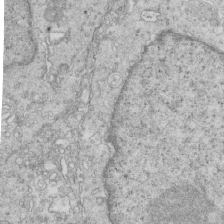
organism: Mouse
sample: Multiciliated cells